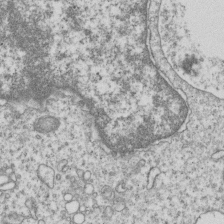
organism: Human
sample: MDA-MB-231 cells